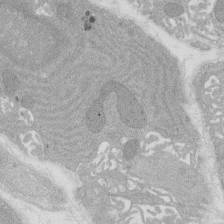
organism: Rat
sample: Salivary granule